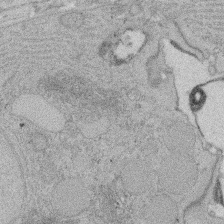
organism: Rat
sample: Salivary granule